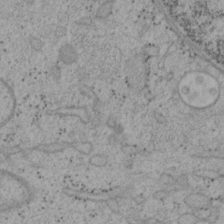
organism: Human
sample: HeLa cells